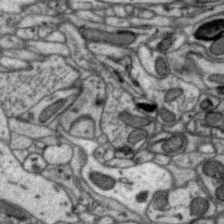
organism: Zebra finch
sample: Brain